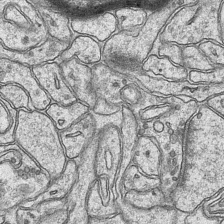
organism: Mouse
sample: CA1 Hippocampus